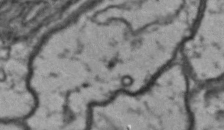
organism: Drosophila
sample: Brain